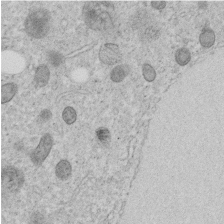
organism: C. elegans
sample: C. elegans embryo early stage